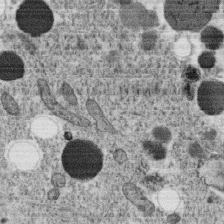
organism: C. elegans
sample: C. elegans oocyte; sperm cells